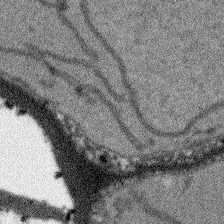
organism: Arabidopsis thaliana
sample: Root tip